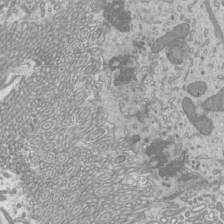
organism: Mouse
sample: Cilia; mouse epididymis